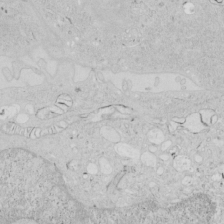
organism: Human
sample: Mitochondria in HCT116 cells